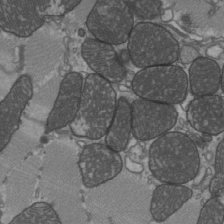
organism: C57BL Mouse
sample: Heart